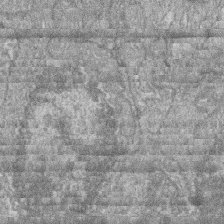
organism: Zebrafish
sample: Cilia; retinal pigment epithelium